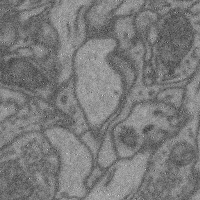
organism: Mouse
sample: Cerebral cortex